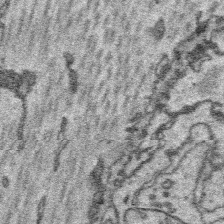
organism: Platynereis dumerilii